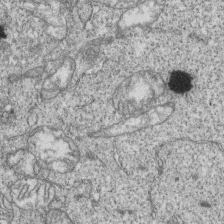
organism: Human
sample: HeLa cell HIV synapse